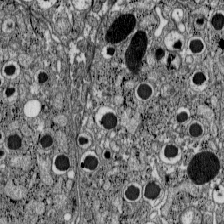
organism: C57BL Mouse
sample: Pancreatic islet